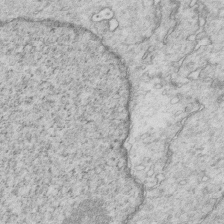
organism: Mouse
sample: Multiciliated cells